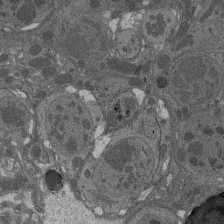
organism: Drosophila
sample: Antenna